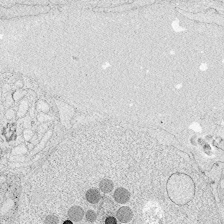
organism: Zebrafish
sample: Whole-Brain